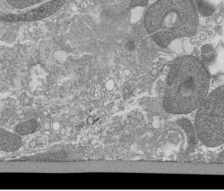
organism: Tetrahymena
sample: Cilia in tetrahymena